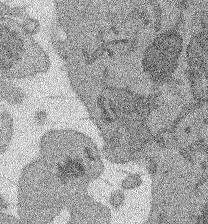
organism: Human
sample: HeLa cells